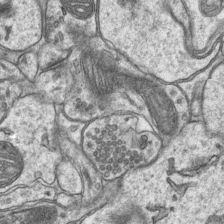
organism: Mouse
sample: CA1 Hippocampus